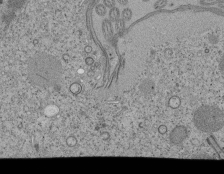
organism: Tetrahymena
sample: Cilia in tetrahymena